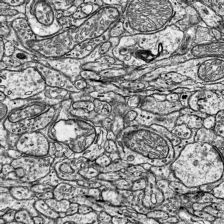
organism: Mouse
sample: Visual Cortex